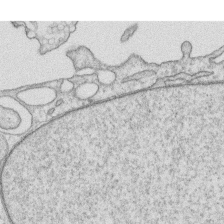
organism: Human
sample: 1205lu cells